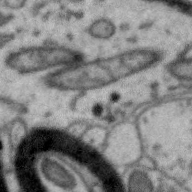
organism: Zebra finch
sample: Brain